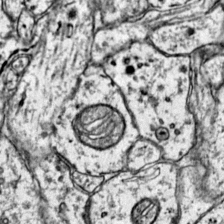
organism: Mouse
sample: Primary visual cortex